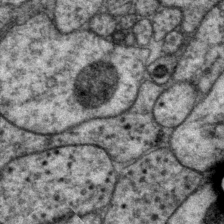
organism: P. pacificus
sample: Pharynx